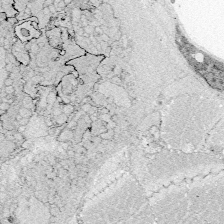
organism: Zebrafish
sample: Whole-Brain